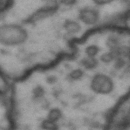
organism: Drosophila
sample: Brain